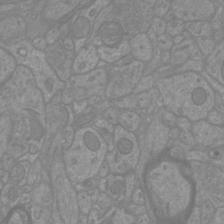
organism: Mouse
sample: Cortical neurons